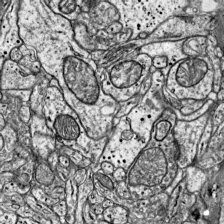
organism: Mouse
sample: Visual Cortex